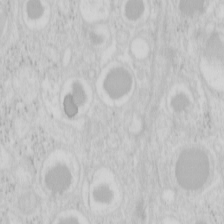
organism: Mouse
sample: Pancreas